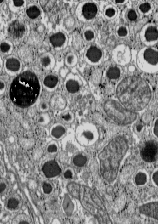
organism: C57BL Mouse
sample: Pancreatic islet